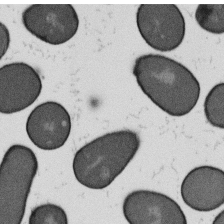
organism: B. subtilis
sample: Bacterial spore